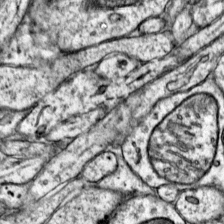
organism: Mouse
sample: Primary visual cortex